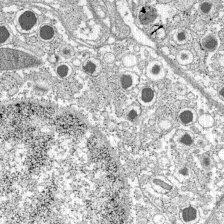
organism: C57BL Mouse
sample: Pancreatic islet